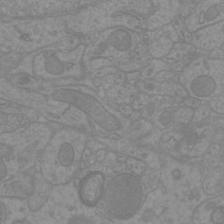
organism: Mouse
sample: Cortical neurons